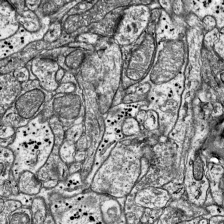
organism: Mouse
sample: Visual Cortex